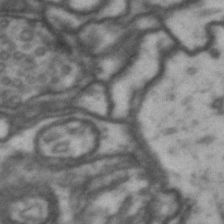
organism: Drosophila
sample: Brain